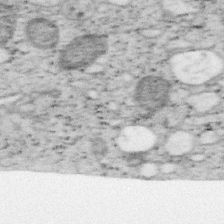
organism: Mouse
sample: OT-I killer T cells with ID8 ovarian cancer cells